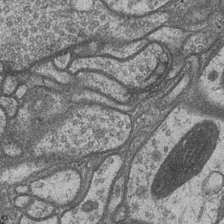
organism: Drosophila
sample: Optic medulla